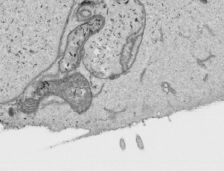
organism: Human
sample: Mitochondria in HCT116 cells